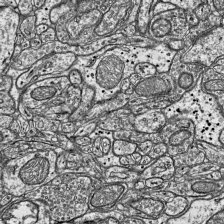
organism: Mouse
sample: Visual Cortex